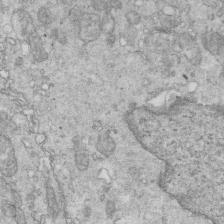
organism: Mouse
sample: Multiciliated cells